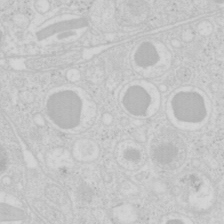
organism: Mouse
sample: Pancreas